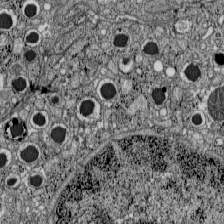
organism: C57BL Mouse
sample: Pancreatic islet